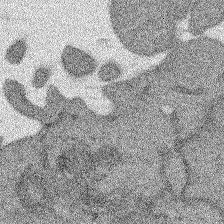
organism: Human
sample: HeLa cells